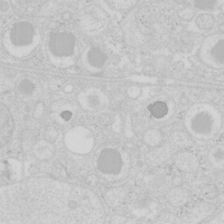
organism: Mouse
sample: Pancreas